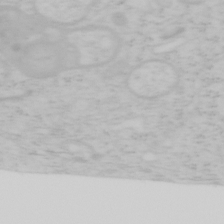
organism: Mouse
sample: OT-I killer T cells with ID8 ovarian cancer cells